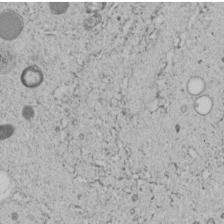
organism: C. elegans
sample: C. elegans embryo early stage